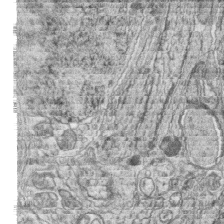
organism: Zebrafish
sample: synaptic ribbons in rod cells and cone cells